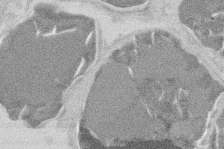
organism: Mouse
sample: T cell stromal cell synapse